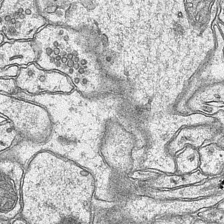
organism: Mouse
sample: CA1 Hippocampus